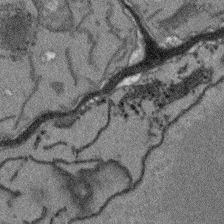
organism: Arabidopsis thaliana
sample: Root tip